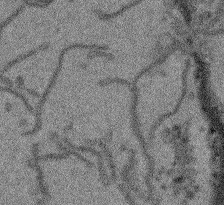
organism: Arabidopsis thaliana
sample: Root tip